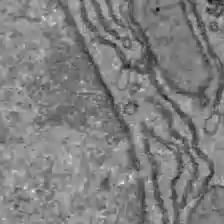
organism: C57BL Mouse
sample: Liver